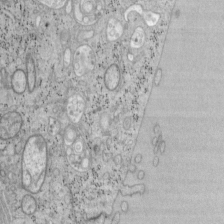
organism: Mouse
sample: OT-I killer T cells with ID8 ovarian cancer cells